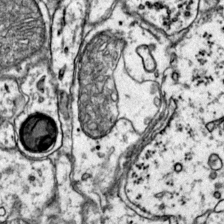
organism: Mouse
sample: Primary visual cortex